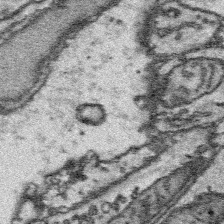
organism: Platynereis dumerilii